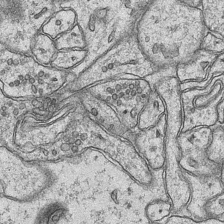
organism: Mouse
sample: CA1 Hippocampus